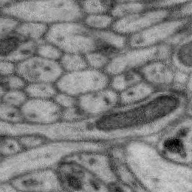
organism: Zebra finch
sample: Brain